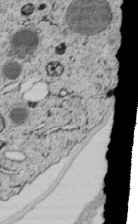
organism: C. elegans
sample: C. elegans embryo early stage